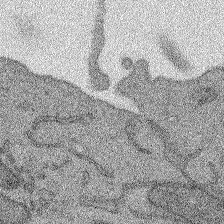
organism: Human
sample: HeLa cells